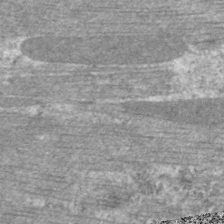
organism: C. elegans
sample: Pharynx